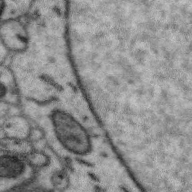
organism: Zebra finch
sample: Brain